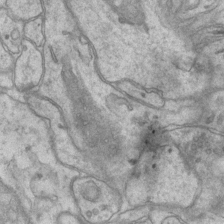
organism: Mouse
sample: CA1 Hippocampus